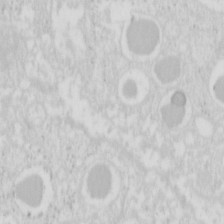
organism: Mouse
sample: Pancreas